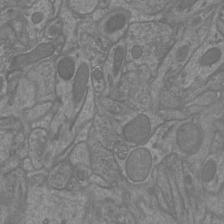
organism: Mouse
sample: Cortical neurons